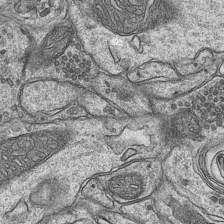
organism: Mouse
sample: CA1 Hippocampus